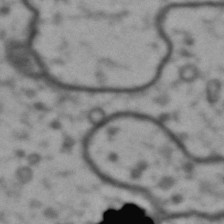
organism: Drosophila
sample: Brain